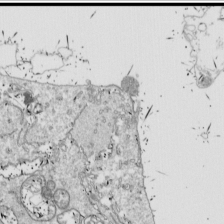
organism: Drosophila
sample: Cell division; meiosis; drosophila spermatocytes